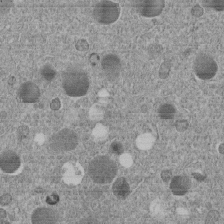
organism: C. elegans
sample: C. elegans embryo early stage